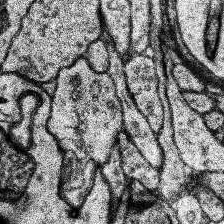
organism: Human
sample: Temporal Lobe